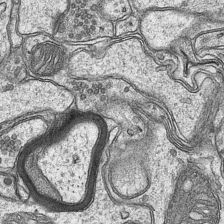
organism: Mouse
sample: CA1 Hippocampus